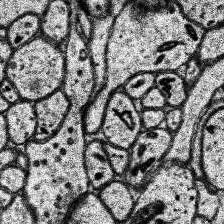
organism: Human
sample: Temporal Lobe